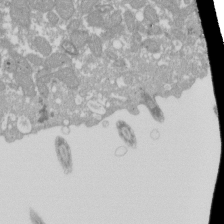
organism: Xenopus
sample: Cilia; centrioles in frog embryo cells